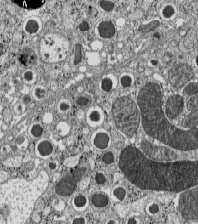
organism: C57BL Mouse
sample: Pancreatic islet